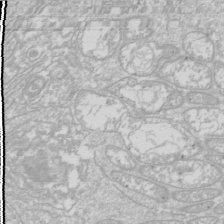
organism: Drosophila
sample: Cell division; meiosis; drosophila spermatocytes